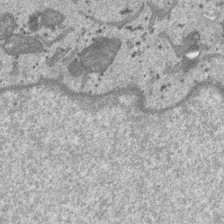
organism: Human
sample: Lung epithelial cells infected with SARS-CoV-2